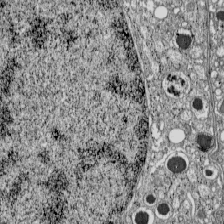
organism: C57BL Mouse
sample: Pancreatic islet